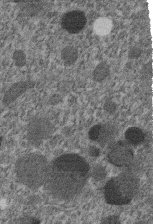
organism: C. elegans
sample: C. elegans embryo early stage